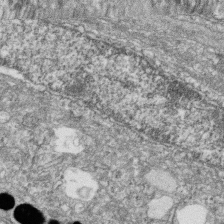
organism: Zebrafish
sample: Cilia; retinal pigment epithelium